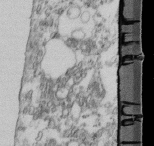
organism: Mouse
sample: Cilia; retinal pigment epithelium